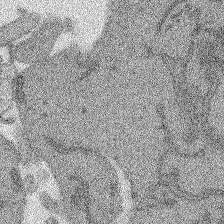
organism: Human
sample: HeLa cells